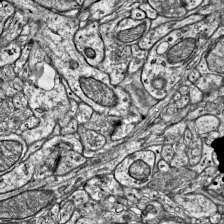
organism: Mouse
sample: Visual Cortex